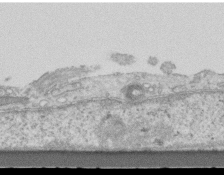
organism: Mouse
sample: Centriole in ependymal cells